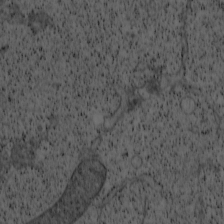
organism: African green monkey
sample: COS-7 cells